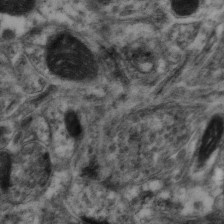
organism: Mouse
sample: Neocortex